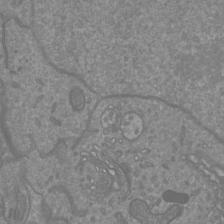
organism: Mouse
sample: Cortical neurons